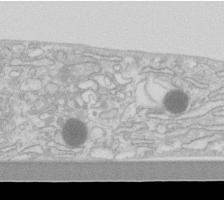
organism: Human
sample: Fibroblast cells